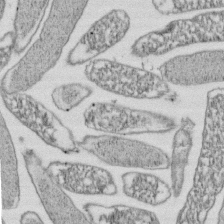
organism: E. coli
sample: Bacterial nucleoid